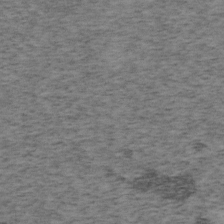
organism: Mouse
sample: OT-I killer T cells with ID8 ovarian cancer cells